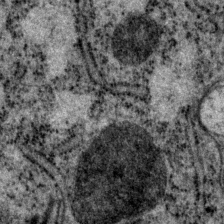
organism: P. pacificus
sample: Pharynx